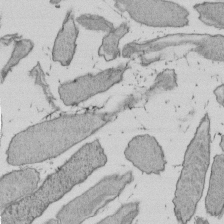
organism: E. coli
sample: Bacterial nucleoid